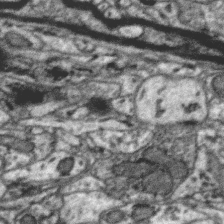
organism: Zebra finch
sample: Brain